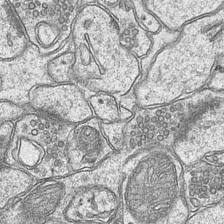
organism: Mouse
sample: CA1 Hippocampus